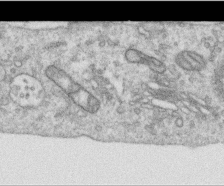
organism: Human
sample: Centriole in RPE cells